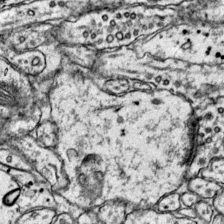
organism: Mouse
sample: Primary visual cortex